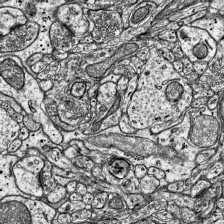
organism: Mouse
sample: Visual Cortex